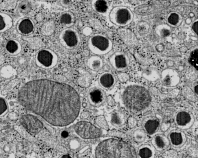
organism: C57BL Mouse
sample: Pancreatic islet